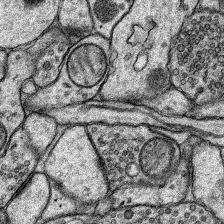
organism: Rat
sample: Hippocampus